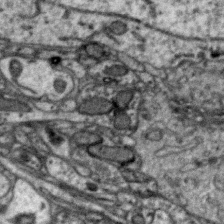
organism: Zebra finch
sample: Brain